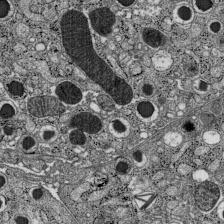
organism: C57BL Mouse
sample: Pancreatic islet